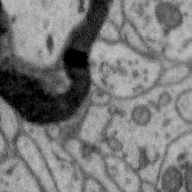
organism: Zebra finch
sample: Brain